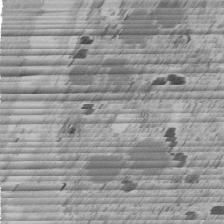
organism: C. elegans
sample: C. elegans embryo early stage